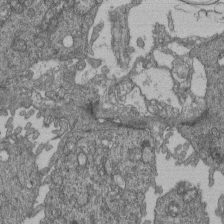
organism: Human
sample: Retinal organoid Rod and Cone cells